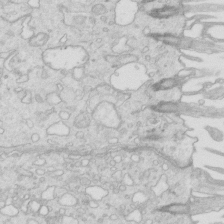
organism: Mouse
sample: Multiciliated cells